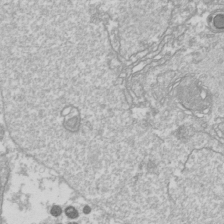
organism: Drosophila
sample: Cell division; meiosis; drosophila spermatocytes